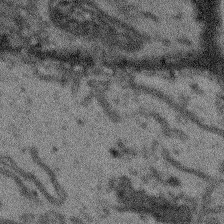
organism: Arabidopsis thaliana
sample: Root tip